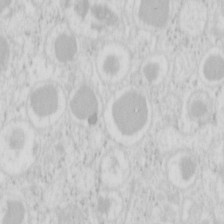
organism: Mouse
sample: Pancreas